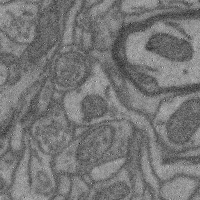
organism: Mouse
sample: Cerebral cortex